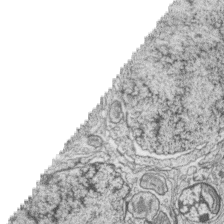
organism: Zebrafish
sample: synaptic ribbons in rod cells and cone cells